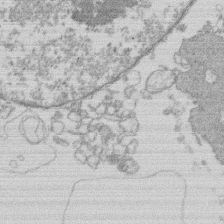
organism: Human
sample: Macrophage cells